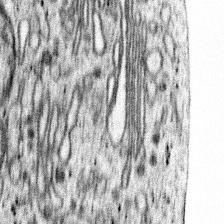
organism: Human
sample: HeLa cells